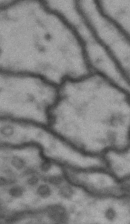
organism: Drosophila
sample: Brain